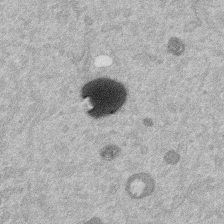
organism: Mouse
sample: Dividing mouse embryo 1 cell stage